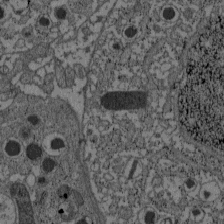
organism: C57BL Mouse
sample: Pancreatic islet